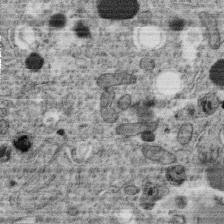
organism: C. elegans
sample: C. elegans oocyte; sperm cells